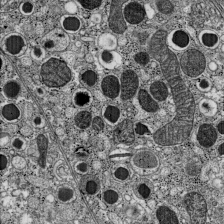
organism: C57BL Mouse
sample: Pancreatic islet